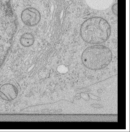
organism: Human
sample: Mitochondria in HCT116 cells